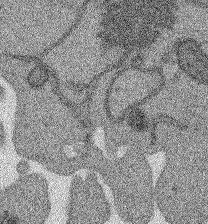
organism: Human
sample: HeLa cells